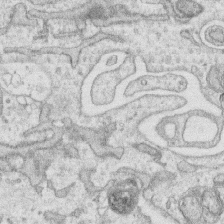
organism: Human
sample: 1205lu cells